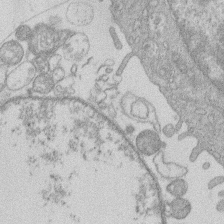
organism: Human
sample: Macrophage cells